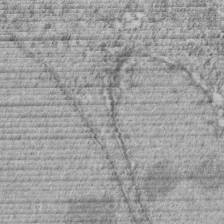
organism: C. elegans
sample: C. elegans embryo early stage